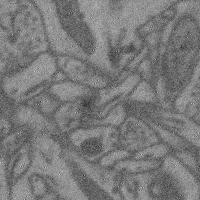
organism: Mouse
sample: Cerebral cortex